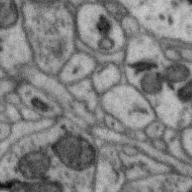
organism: Zebra finch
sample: Brain